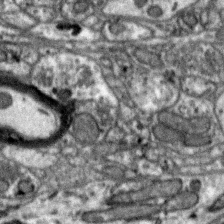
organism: Zebra finch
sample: Brain